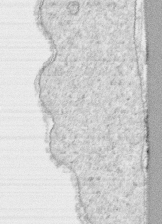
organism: Human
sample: CRL-1474